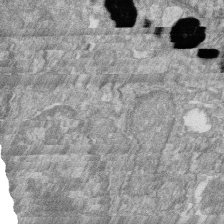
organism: Zebrafish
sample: Cilia; retinal pigment epithelium